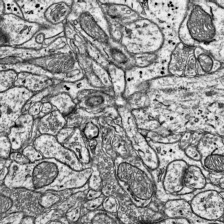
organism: Mouse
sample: Visual Cortex